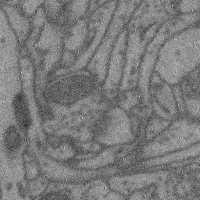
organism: Mouse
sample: Cerebral cortex